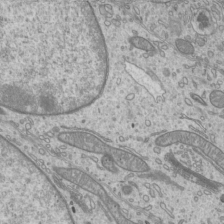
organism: Mouse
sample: Cilia; mouse epididymis